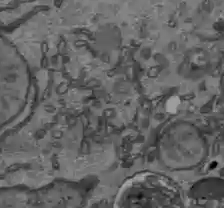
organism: C57BL Mouse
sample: Liver